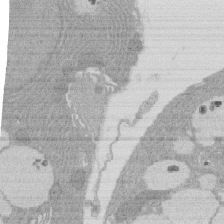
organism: Rat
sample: Salivary granule